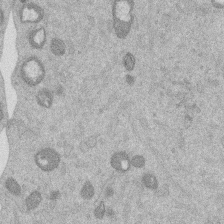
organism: Mouse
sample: Dividing mouse embryo 1 cell stage